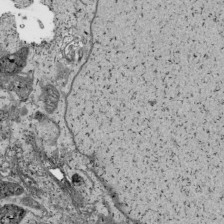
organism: Human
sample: Mitochondria in HCT116 cells